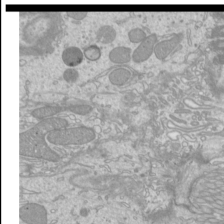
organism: Mouse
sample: Cilia; mouse epididymis